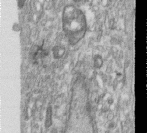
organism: Human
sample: Centriole in RPE cells